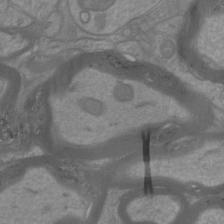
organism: Mouse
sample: Cortical neurons